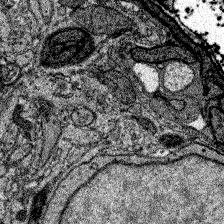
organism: Zebrafish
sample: Larval olfactory bulb